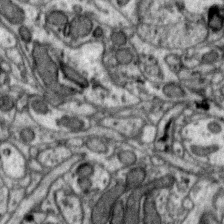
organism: Zebra finch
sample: Brain